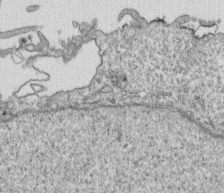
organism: Human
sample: HeLa cell HIV synapse